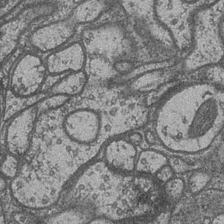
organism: Drosophila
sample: Optic medulla